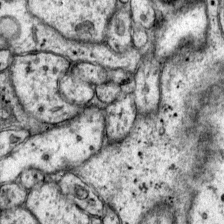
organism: Mouse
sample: Primary visual cortex